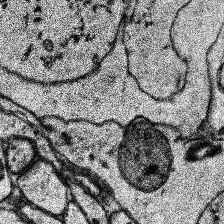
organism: Human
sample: Temporal Lobe